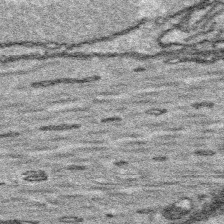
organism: Platynereis dumerilii